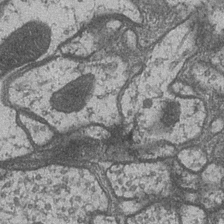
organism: Drosophila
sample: Optic medulla